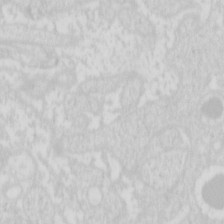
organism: Mouse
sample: Pancreas